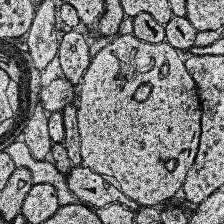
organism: Human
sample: Temporal Lobe